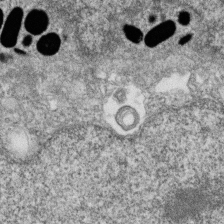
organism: Zebrafish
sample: Cilia; retinal pigment epithelium